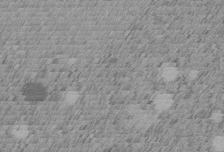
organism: C. elegans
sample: C. elegans embryo early stage